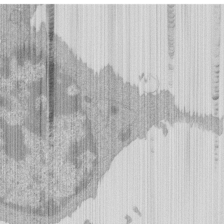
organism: Mouse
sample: Activated Pmel transgenic CD8+ T Cells